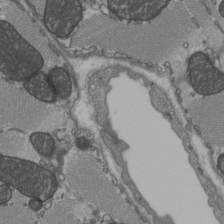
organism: C57BL Mouse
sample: Heart